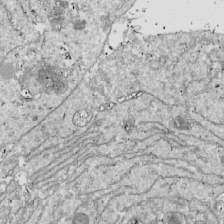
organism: Drosophila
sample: Cell division; meiosis; drosophila spermatocytes